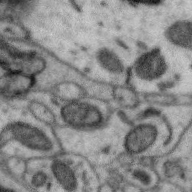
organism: Zebra finch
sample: Brain